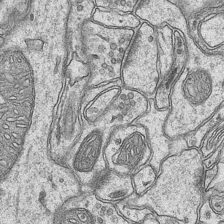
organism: Mouse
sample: CA1 Hippocampus